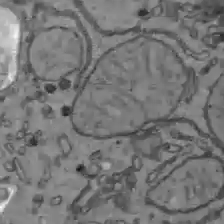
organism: C57BL Mouse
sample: Liver